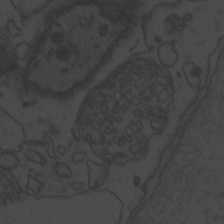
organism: Zebrafish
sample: Macrophage infected with Toxoplasma gondii